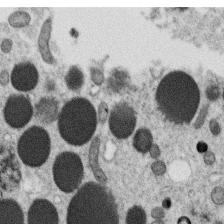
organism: C. elegans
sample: C. elegans oocyte; sperm cells